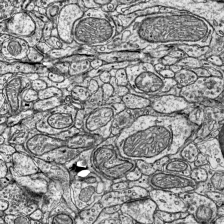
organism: Mouse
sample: Visual Cortex